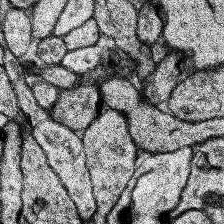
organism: Human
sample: Temporal Lobe